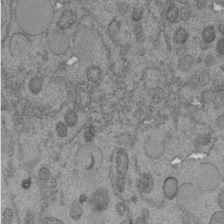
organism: C. elegans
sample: C. elegans embryo early stage